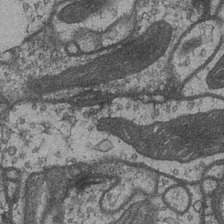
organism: Drosophila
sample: Optic medulla